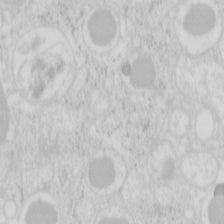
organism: Mouse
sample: Pancreas